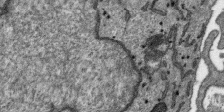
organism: Human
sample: Lung epithelial cells, uninfected (mock) control